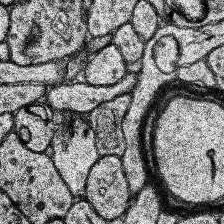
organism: Human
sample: Temporal Lobe